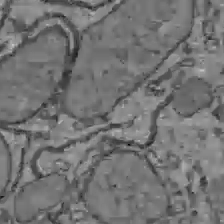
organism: C57BL Mouse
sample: Liver